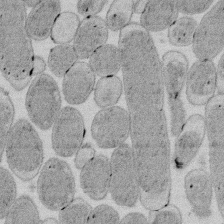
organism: E. coli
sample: Bacterial nucleoid